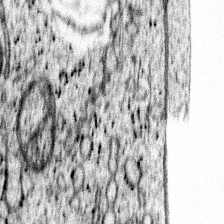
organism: Human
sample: HeLa cells